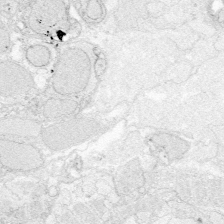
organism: Zebrafish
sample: Whole-Brain